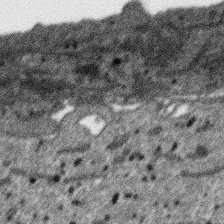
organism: Human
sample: Lung epithelial cells infected with SARS-CoV-2